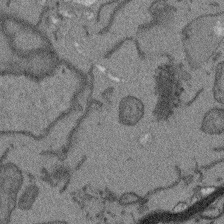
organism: Arabidopsis thaliana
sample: Root tip